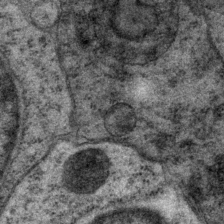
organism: P. pacificus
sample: Pharynx